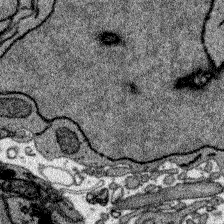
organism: Zebrafish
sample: Larval olfactory bulb